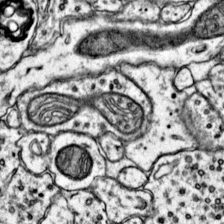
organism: Mouse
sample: Primary visual cortex